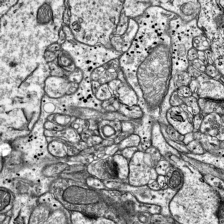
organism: Mouse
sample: Visual Cortex